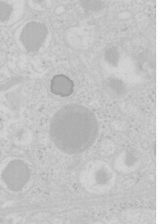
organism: Mouse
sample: Pancreas